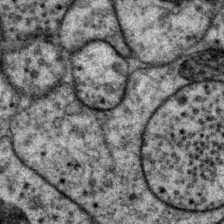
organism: P. pacificus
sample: Pharynx